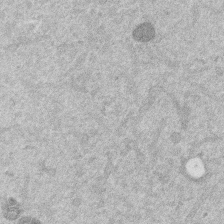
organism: Mouse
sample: Dividing mouse embryo 1 cell stage